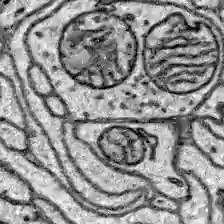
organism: Zebrafish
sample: Brain